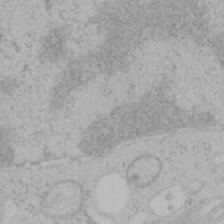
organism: Mouse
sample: OT-I killer T cells with ID8 ovarian cancer cells